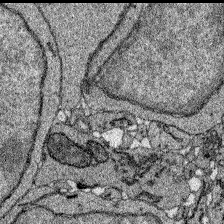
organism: Zebrafish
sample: Larval olfactory bulb